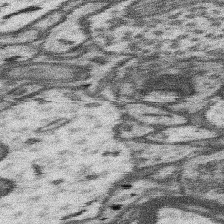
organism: Mouse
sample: Somatosensory cortex neuropil